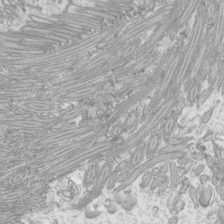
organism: Mouse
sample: Cilia; mouse epididymis